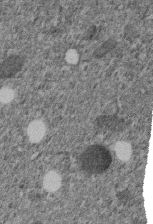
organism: C. elegans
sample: C. elegans embryo early stage